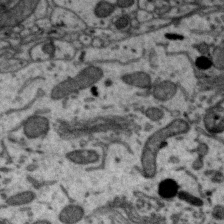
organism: Zebra finch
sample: Brain